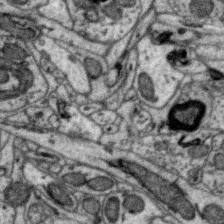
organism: Zebra finch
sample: Brain